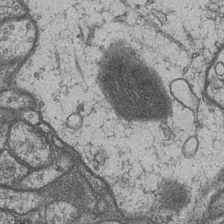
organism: Drosophila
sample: Optic medulla